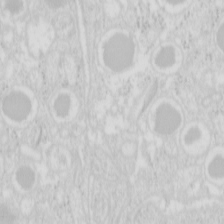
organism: Mouse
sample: Pancreas